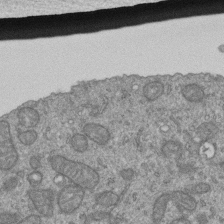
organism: Human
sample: Retinal organoid Rod and Cone cells